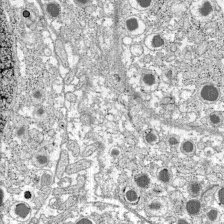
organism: C57BL Mouse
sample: Pancreatic islet